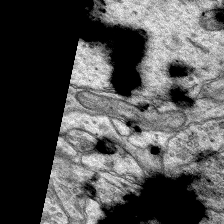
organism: Rat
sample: Hippocampus